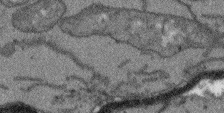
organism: Arabidopsis thaliana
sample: Root tip